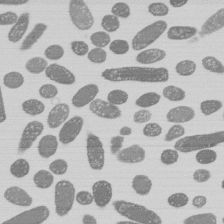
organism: E. coli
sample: Bacterial nucleoid